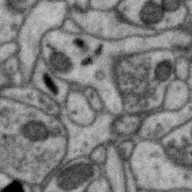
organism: Zebra finch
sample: Brain